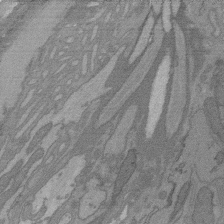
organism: C. elegans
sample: AFD neurons C. elegans